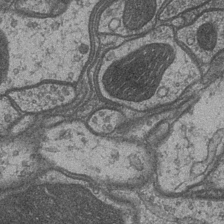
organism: Drosophila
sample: Optic medulla